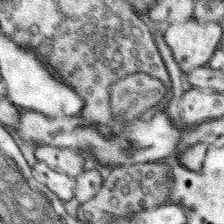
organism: Mouse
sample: Somatosensory cortex neuropil